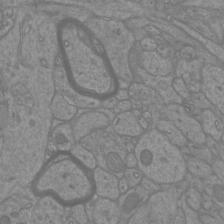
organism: Mouse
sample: Cortical neurons